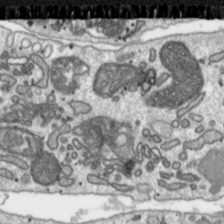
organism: Toxoplasma gondii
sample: Parasites in a vacuole inside a host cell